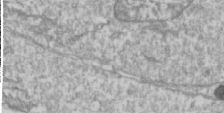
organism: Drosophila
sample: Cell division; meiosis; drosophila spermatocytes